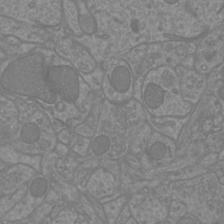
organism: Mouse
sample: Cortical neurons